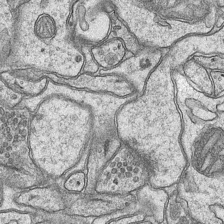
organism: Mouse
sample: CA1 Hippocampus